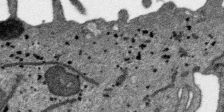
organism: Human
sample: Lung epithelial cells, uninfected (mock) control